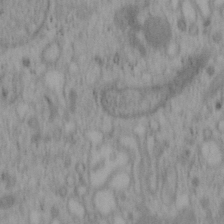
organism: Mouse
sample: OT-I killer T cells with ID8 ovarian cancer cells